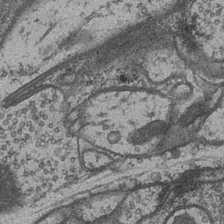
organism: Drosophila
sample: Optic medulla